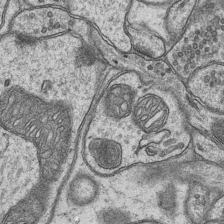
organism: Mouse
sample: CA1 Hippocampus